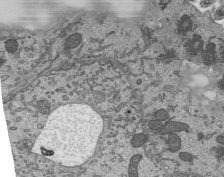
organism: Mouse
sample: Mouse epididymis efferent ductule cilia